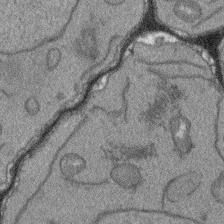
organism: Arabidopsis thaliana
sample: Root tip